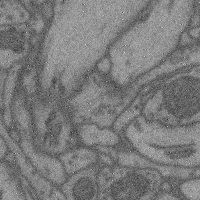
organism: Mouse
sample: Cerebral cortex